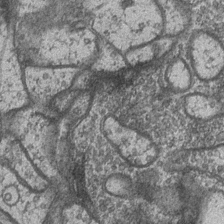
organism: Drosophila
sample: Optic medulla